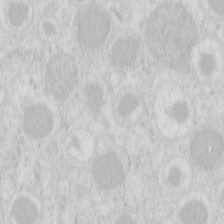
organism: Mouse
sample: Pancreas